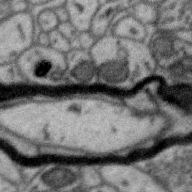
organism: Zebra finch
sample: Brain